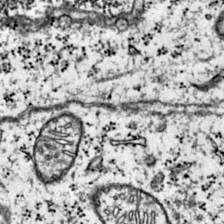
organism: Mouse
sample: Primary visual cortex